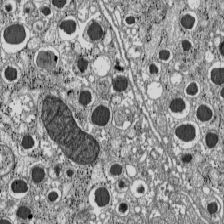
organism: C57BL Mouse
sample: Pancreatic islet